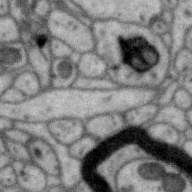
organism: Zebra finch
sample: Brain